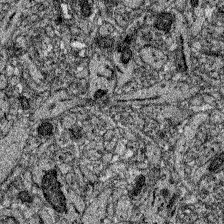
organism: Zebrafish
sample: Larval olfactory bulb